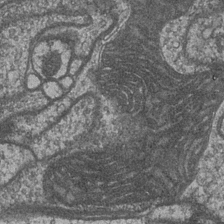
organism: Drosophila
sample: Optic medulla